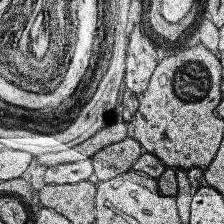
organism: Human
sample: Temporal Lobe